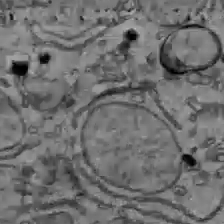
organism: C57BL Mouse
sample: Liver